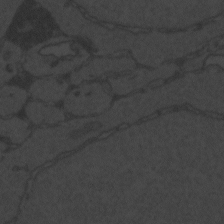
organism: Zebrafish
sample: Macrophage infected with Toxoplasma gondii